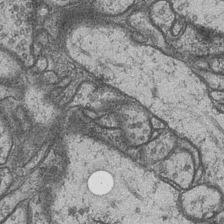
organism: Drosophila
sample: Optic medulla